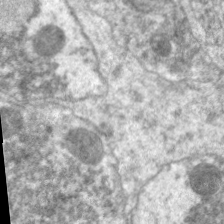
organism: C. elegans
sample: Pharynx